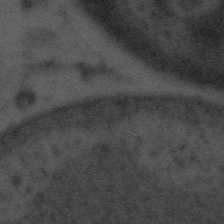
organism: Tuwongella immobilis